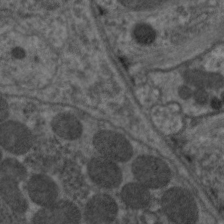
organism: C. elegans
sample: Pharynx